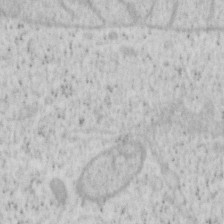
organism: Human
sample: HeLa cells